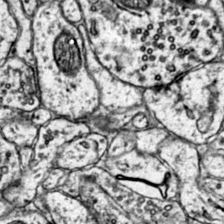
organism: Mouse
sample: Primary visual cortex